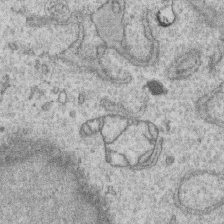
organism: Human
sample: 1205lu cells